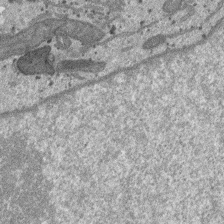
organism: Human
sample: Lung epithelial cells infected with SARS-CoV-2